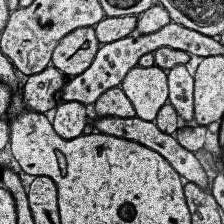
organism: Human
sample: Temporal Lobe